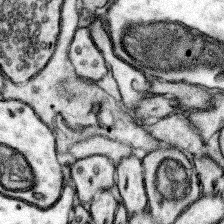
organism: Mouse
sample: Somatosensory cortex neuropil